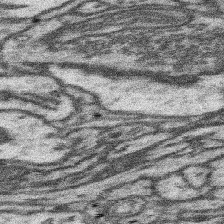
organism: Mouse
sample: Somatosensory cortex neuropil